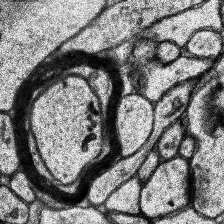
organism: Human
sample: Temporal Lobe